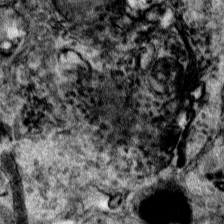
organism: Human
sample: Mitochondria in HCT116 cells